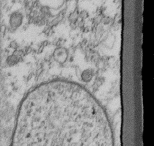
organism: Mouse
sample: Cilia; retinal pigment epithelium